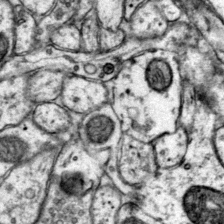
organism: Mouse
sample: Primary visual cortex